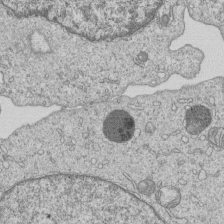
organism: Human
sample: MDA-MB-231 cells